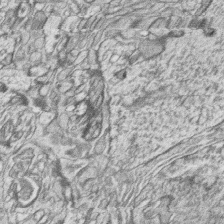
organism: Zebrafish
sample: synaptic ribbons in rod cells and cone cells